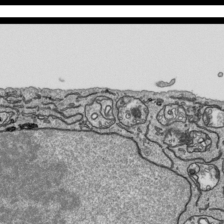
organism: Human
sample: Mitochondria in HCT116 cells